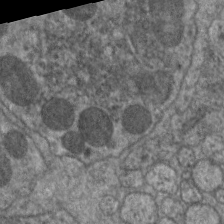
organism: C. elegans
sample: Pharynx